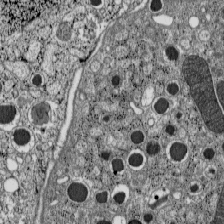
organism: C57BL Mouse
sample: Pancreatic islet